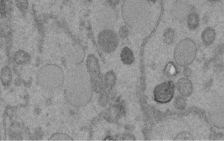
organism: C. elegans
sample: C. elegans embryo early stage